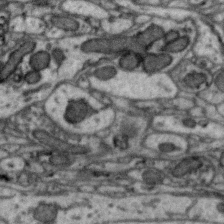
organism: Zebra finch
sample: Brain